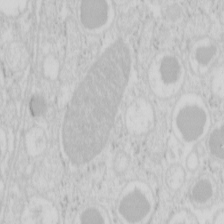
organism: Mouse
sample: Pancreas